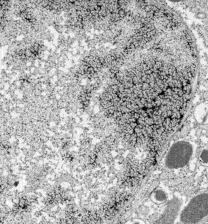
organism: C57BL Mouse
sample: Pancreatic islet